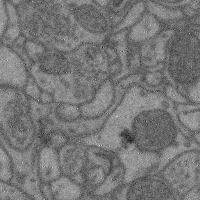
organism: Mouse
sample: Cerebral cortex